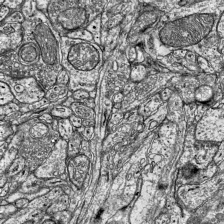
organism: Mouse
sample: Visual Cortex